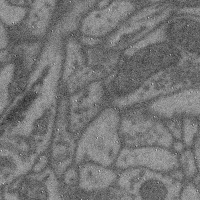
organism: Mouse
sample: Cerebral cortex